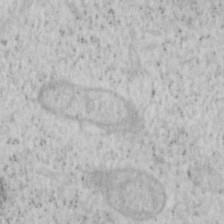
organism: Human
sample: HeLa cells